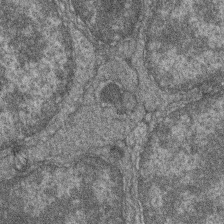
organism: Zebrafish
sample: Cilia; retinal pigment epithelium